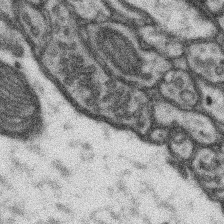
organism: Mouse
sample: Somatosensory cortex neuropil